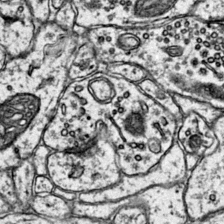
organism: Mouse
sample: Primary visual cortex